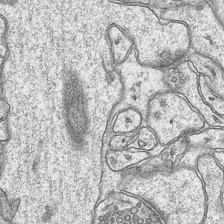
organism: Mouse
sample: CA1 Hippocampus